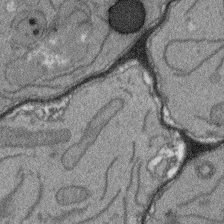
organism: Arabidopsis thaliana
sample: Root tip